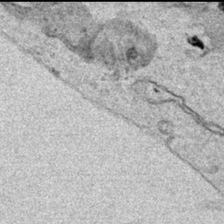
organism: Human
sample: Mitochondria in HCT116 cells